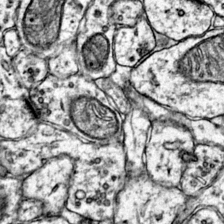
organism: Mouse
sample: Primary visual cortex